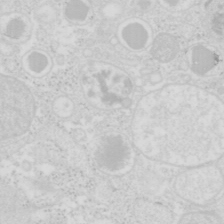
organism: Mouse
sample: Pancreas